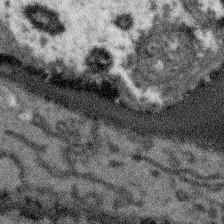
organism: Arabidopsis thaliana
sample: Root tip